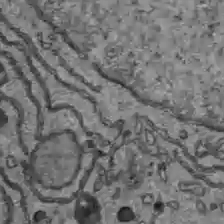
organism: C57BL Mouse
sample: Liver